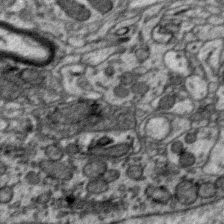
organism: Zebra finch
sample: Brain